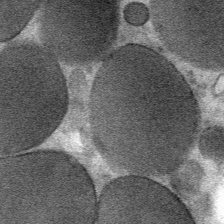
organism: Mouse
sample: Mouse Salivary gland